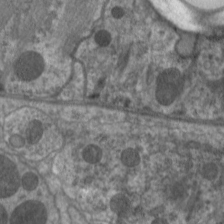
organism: C. elegans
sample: Pharynx